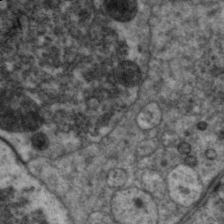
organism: C. elegans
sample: Pharynx